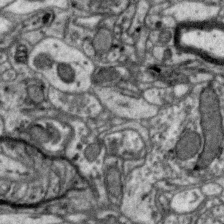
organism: Zebra finch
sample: Brain